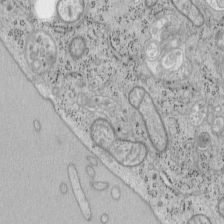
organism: Mouse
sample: OT-I killer T cells with ID8 ovarian cancer cells